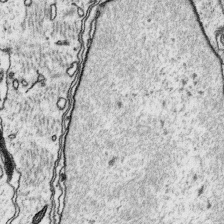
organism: Platynereis dumerilii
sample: Parapodia